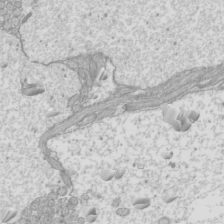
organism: Mouse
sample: Cilia; mouse epididymis